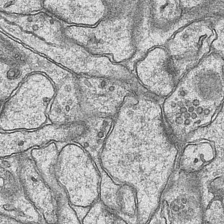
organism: Mouse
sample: CA1 Hippocampus